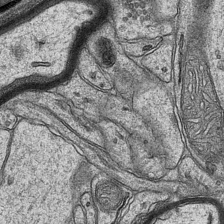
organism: Mouse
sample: CA1 Hippocampus